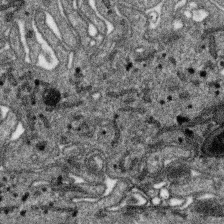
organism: Human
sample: Lung epithelial cells infected with SARS-CoV-2